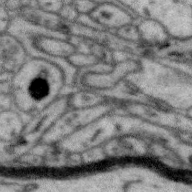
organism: Zebra finch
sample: Brain